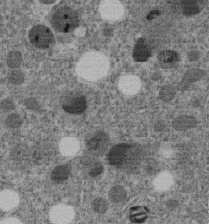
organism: C. elegans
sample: C. elegans embryo early stage